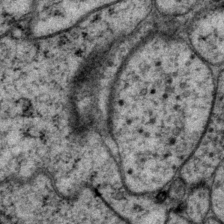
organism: P. pacificus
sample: Pharynx